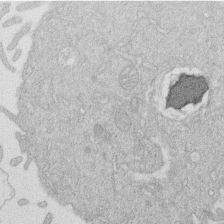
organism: Human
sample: Macrophage cells